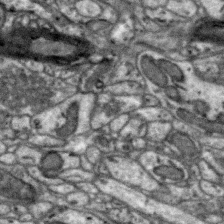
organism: Zebra finch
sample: Brain